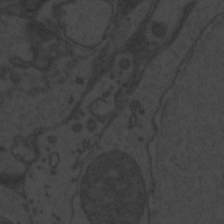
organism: Zebrafish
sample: Macrophage infected with Toxoplasma gondii